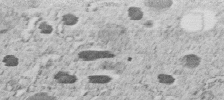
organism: C. elegans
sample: C. elegans embryo early stage